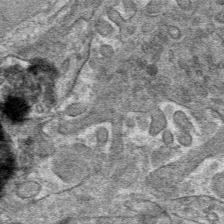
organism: Mouse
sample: Mouse hepatocytes